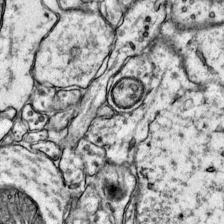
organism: Mouse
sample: Primary visual cortex